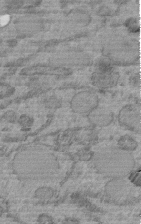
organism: C. elegans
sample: C. elegans embryo early stage